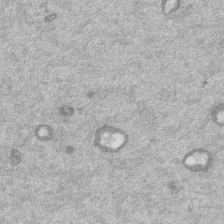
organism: Mouse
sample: Dividing mouse embryo 1 cell stage